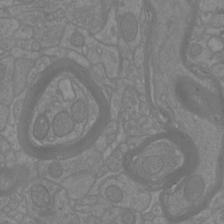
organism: Mouse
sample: Cortical neurons